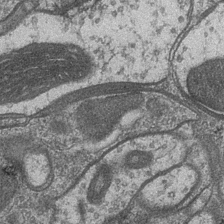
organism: Drosophila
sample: Optic medulla